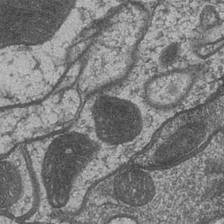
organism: Drosophila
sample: Optic medulla